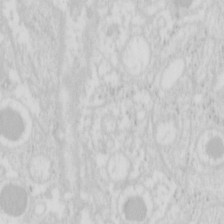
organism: Mouse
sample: Pancreas